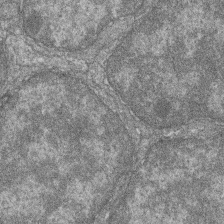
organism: Zebrafish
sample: Cilia; retinal pigment epithelium